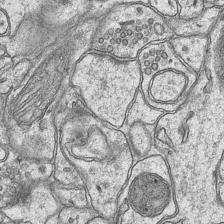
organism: Mouse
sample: CA1 Hippocampus